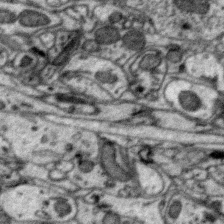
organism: Zebra finch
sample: Brain